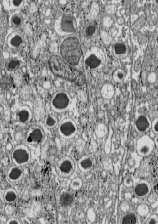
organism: C57BL Mouse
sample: Pancreatic islet